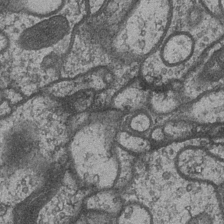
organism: Drosophila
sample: Optic medulla